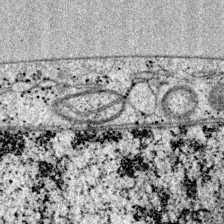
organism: Human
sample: HeLa cells